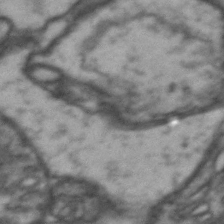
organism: Drosophila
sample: Brain